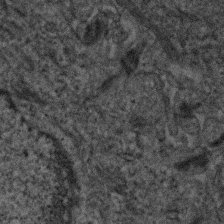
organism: Human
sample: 1205lu cells